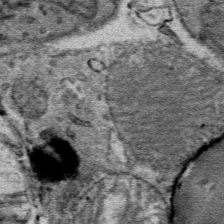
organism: Mouse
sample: Mouse Salivary gland